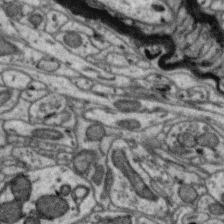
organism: Zebra finch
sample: Brain